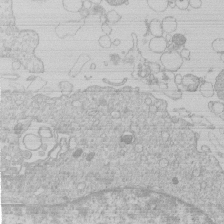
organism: Human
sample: Macrophage cells